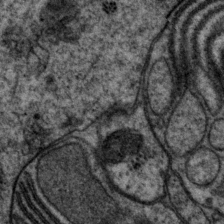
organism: P. pacificus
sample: Pharynx